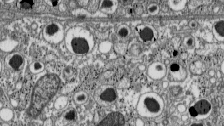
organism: C57BL Mouse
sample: Pancreatic islet